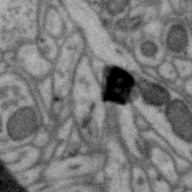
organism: Zebra finch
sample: Brain